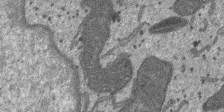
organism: Human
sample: Lung epithelial cells infected with SARS-CoV-2